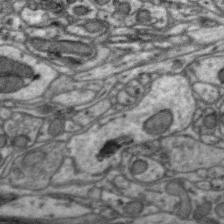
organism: Zebra finch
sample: Brain